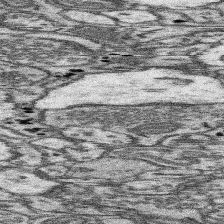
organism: Mouse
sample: Somatosensory cortex neuropil